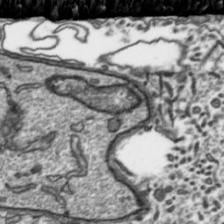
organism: Toxoplasma gondii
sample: Parasites in a vacuole inside a host cell